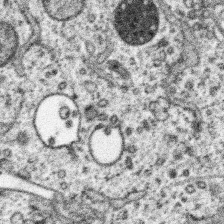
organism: Human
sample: HeLa cells